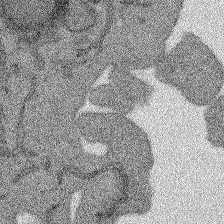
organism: Human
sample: HeLa cells